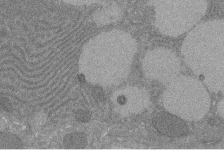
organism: Rat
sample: Salivary granule